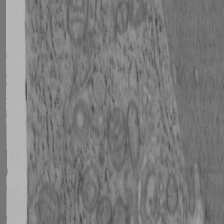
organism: Human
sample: HeLa cells